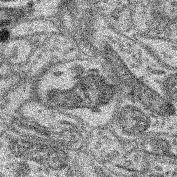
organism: Mouse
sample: Retina